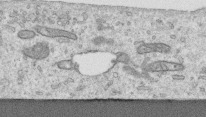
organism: Human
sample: Centriole in RPE cells